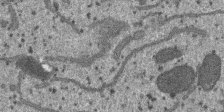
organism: Human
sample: Lung epithelial cells infected with SARS-CoV-2